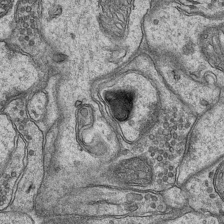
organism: Mouse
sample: CA1 Hippocampus